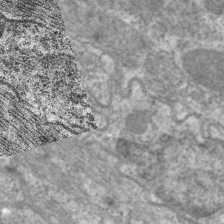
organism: C. elegans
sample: Pharynx